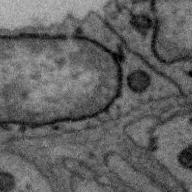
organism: Zebra finch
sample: Brain